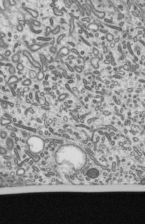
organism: Mouse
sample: Mouse epididymis efferent ductule cilia